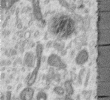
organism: Human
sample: Centriole in RPE cells